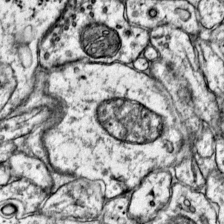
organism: Mouse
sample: Primary visual cortex